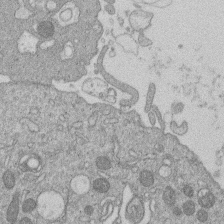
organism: Human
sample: Macrophage cells